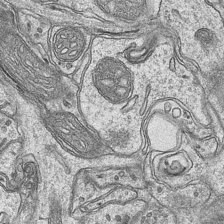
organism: Mouse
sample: CA1 Hippocampus